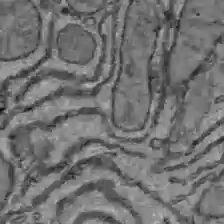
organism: C57BL Mouse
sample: Liver